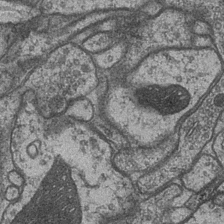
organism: Drosophila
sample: Optic medulla